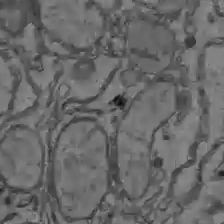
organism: C57BL Mouse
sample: Liver